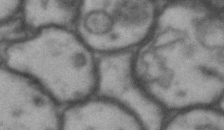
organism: Drosophila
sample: Brain